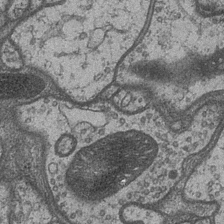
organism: Drosophila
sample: Optic medulla